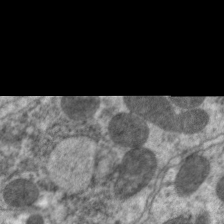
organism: C. elegans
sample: Pharynx